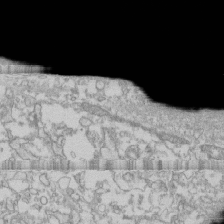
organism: Human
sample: CRL-1474